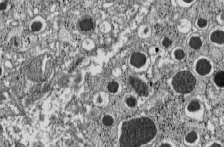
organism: C57BL Mouse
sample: Pancreatic islet